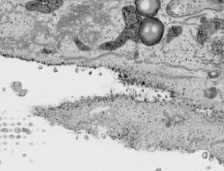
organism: Human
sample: Mitochondria in HCT116 cells